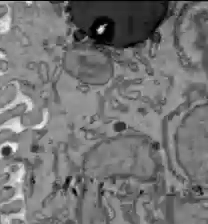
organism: C57BL Mouse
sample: Liver